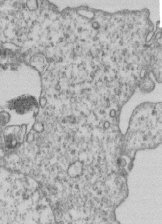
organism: Human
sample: MDA-MB-231 cells